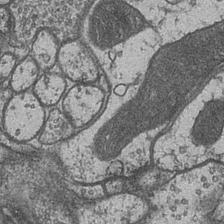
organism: Drosophila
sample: Optic medulla